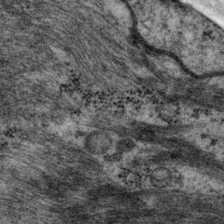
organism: P. pacificus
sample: Pharynx